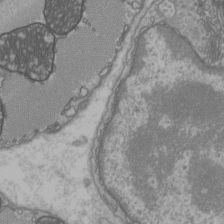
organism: C57BL Mouse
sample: Heart